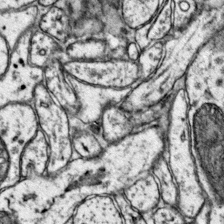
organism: Mouse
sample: Primary visual cortex